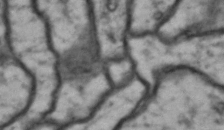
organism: Drosophila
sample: Brain